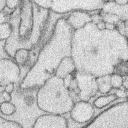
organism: Rabbit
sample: Retina